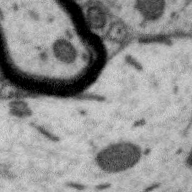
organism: Zebra finch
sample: Brain